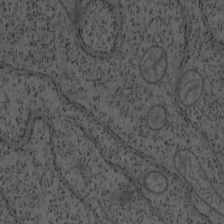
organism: Mouse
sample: OT-I killer T cells with ID8 ovarian cancer cells